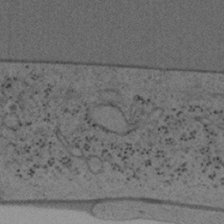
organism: Human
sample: HeLa cells